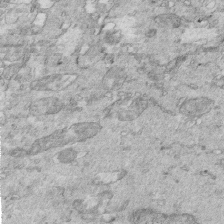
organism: Mouse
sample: Multiciliated cells